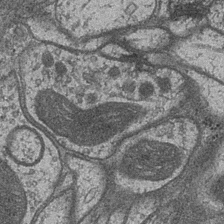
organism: Drosophila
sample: Optic medulla